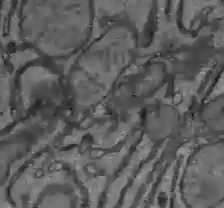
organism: C57BL Mouse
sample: Liver